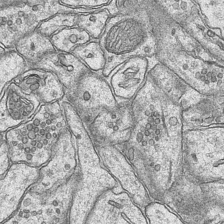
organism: Mouse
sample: CA1 Hippocampus